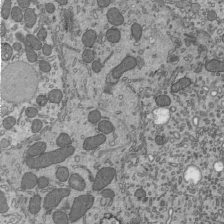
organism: Mouse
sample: Mouse epididymis efferent ductule cilia